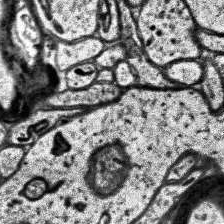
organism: Human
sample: Temporal Lobe